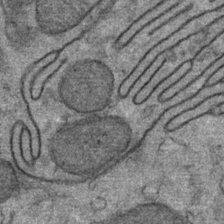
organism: Mouse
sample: Mouse Salivary gland